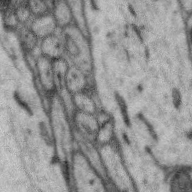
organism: Zebra finch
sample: Brain